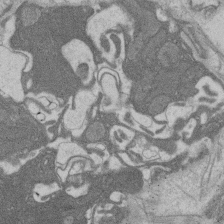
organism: Rat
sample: Salivary granule